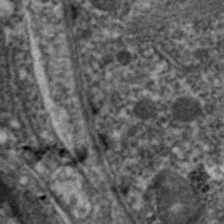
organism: C. elegans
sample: Pharynx